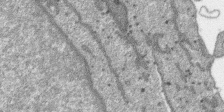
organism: Human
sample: Lung epithelial cells infected with SARS-CoV-2